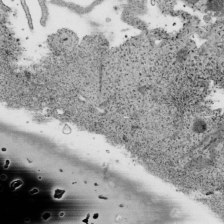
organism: Human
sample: Mitochondria in HCT116 cells